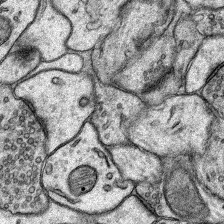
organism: Rat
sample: Hippocampus